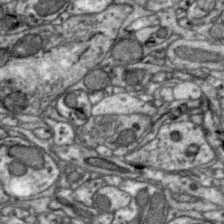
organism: Zebra finch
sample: Brain